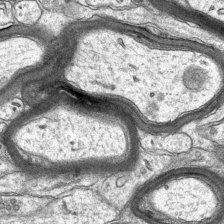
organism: Mouse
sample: CA1 Hippocampus